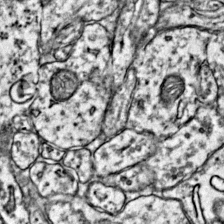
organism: Mouse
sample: Primary visual cortex